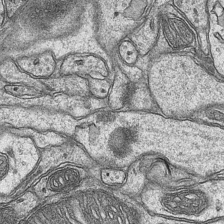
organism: Mouse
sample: CA1 Hippocampus